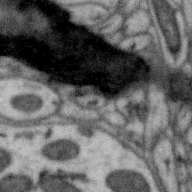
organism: Zebra finch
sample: Brain